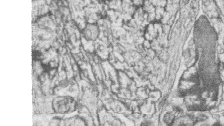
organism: Zebrafish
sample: synaptic ribbons in rod cells and cone cells